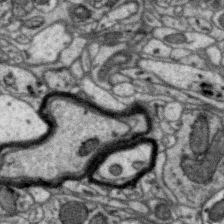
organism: Zebra finch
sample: Brain